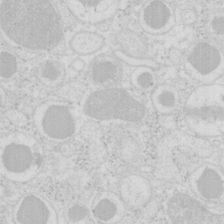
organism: Mouse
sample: Pancreas